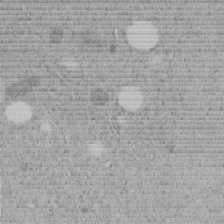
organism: C. elegans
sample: C. elegans embryo early stage